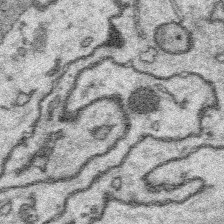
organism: Platynereis dumerilii